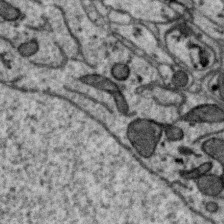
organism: Zebra finch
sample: Brain